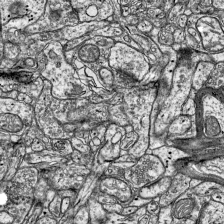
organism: Mouse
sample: Visual Cortex